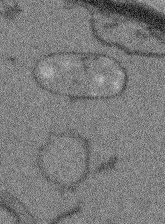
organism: Arabidopsis thaliana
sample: Root tip